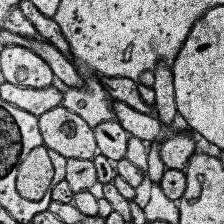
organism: Human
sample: Temporal Lobe